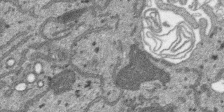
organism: Human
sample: Lung epithelial cells infected with SARS-CoV-2